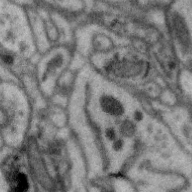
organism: Zebra finch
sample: Brain